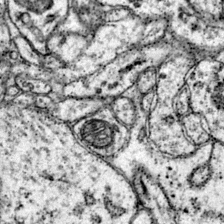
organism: Mouse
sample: Primary visual cortex